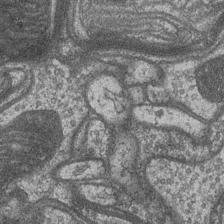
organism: Drosophila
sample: Optic medulla